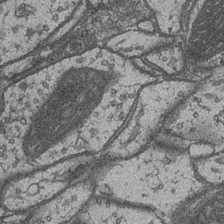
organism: Drosophila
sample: Optic medulla